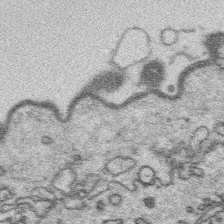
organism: Platynereis dumerilii